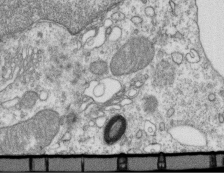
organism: Mouse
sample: Activated OT-1 CD8+ T cells